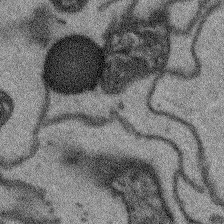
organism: Arabidopsis thaliana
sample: Root tip